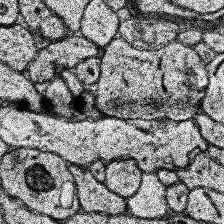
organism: Human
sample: Temporal Lobe